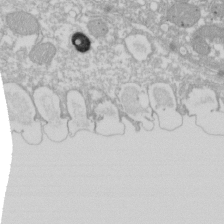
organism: Xenopus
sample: Cilia; centrioles in frog embryo cells